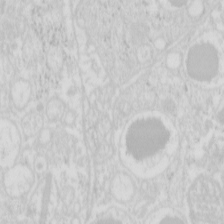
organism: Mouse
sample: Pancreas